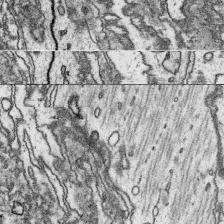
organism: Platynereis dumerilii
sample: Parapodia